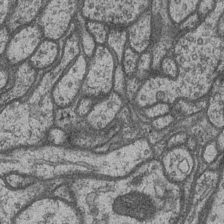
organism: Drosophila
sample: Optic medulla